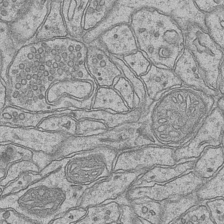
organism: Mouse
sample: CA1 Hippocampus